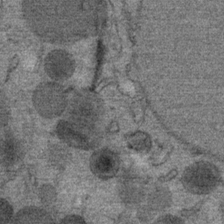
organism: Mouse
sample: Mouse Salivary gland